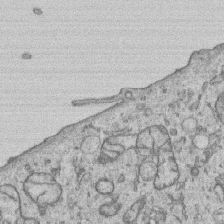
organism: Human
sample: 1205lu cells